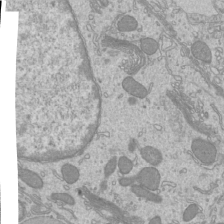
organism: Mouse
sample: Cilia; mouse epididymis